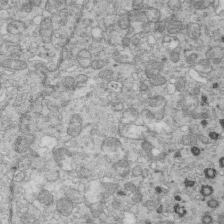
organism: Mouse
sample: Multiciliated cells